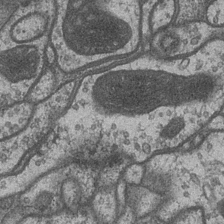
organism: Drosophila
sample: Optic medulla